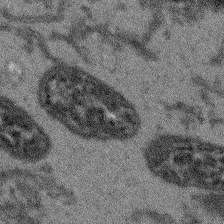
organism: Arabidopsis thaliana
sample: Root tip